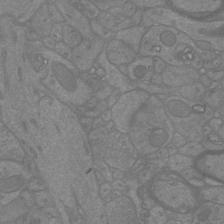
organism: Mouse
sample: Cortical neurons